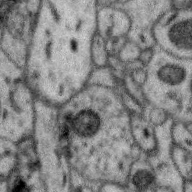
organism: Zebra finch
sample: Brain